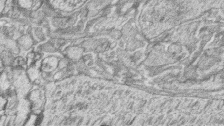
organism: Zebrafish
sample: synaptic ribbons in rod cells and cone cells